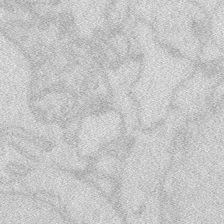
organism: Zebrafish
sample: Macrophage